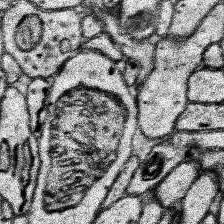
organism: Human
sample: Temporal Lobe